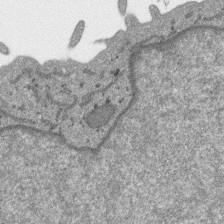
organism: Human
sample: Lung epithelial cells infected with SARS-CoV-2